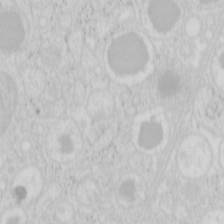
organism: Mouse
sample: Pancreas